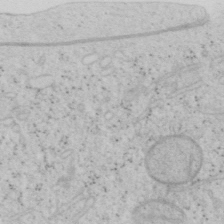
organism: Human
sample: HeLa cells